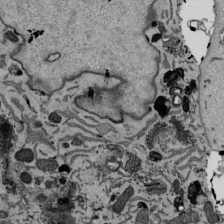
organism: Mouse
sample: ED-1 cell nuclei; centrioles